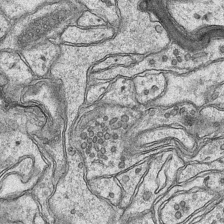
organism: Mouse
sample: CA1 Hippocampus